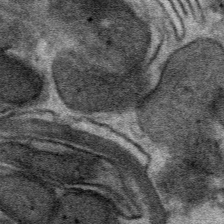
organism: Mouse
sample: Mouse Salivary gland